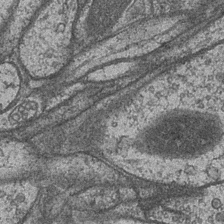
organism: Drosophila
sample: Optic medulla